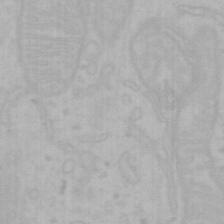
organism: Mouse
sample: Choroid plexus